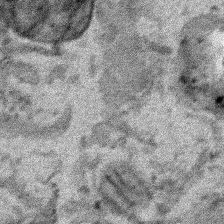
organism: Human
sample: Mitochondria in HCT116 cells